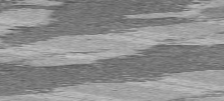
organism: C57BL Mouse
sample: Heart